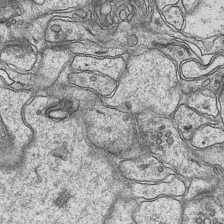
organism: Mouse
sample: CA1 Hippocampus